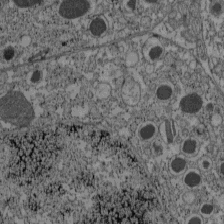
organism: C57BL Mouse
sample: Pancreatic islet